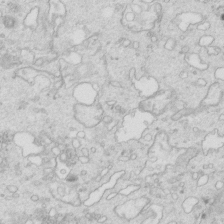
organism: Mouse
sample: Multiciliated cells